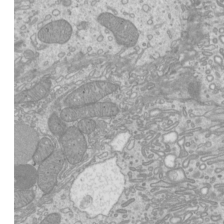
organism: Mouse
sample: Cilia; mouse epididymis